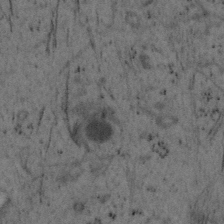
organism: Human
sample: HeLa cells